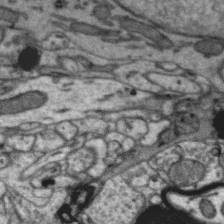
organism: Zebra finch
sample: Brain